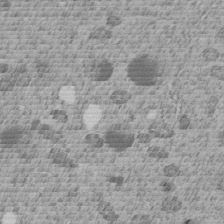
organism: C. elegans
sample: C. elegans embryo early stage